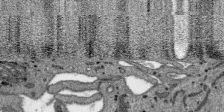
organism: Human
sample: Lung epithelial cells, uninfected (mock) control